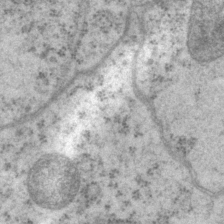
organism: P. pacificus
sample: Pharynx